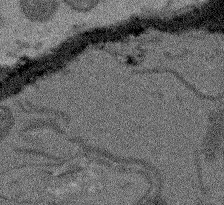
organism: Arabidopsis thaliana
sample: Root tip